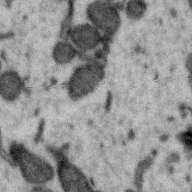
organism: Zebra finch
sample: Brain